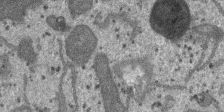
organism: Human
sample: Lung epithelial cells infected with SARS-CoV-2